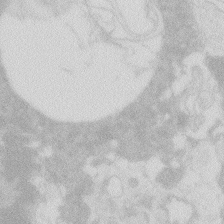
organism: Zebrafish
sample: Macrophage